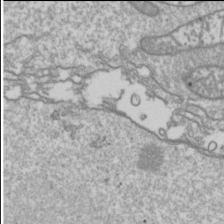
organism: Drosophila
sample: Cell division; meiosis; drosophila spermatocytes